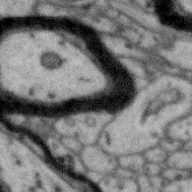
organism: Zebra finch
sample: Brain